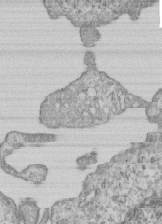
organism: Human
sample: MDA-MB-231 cells